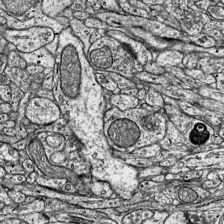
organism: Mouse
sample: Visual Cortex